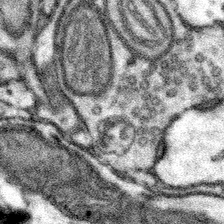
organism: Mouse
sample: Somatosensory cortex neuropil